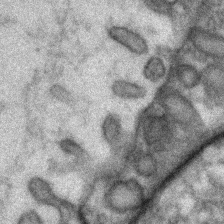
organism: Zebrafish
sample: Zebrafish embryo